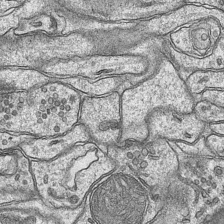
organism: Mouse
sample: CA1 Hippocampus